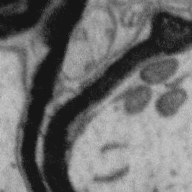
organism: Zebra finch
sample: Brain